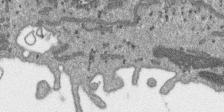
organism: Human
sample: Lung epithelial cells infected with SARS-CoV-2